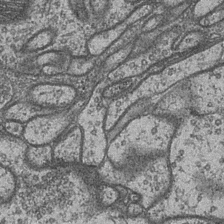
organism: Drosophila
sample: Optic medulla